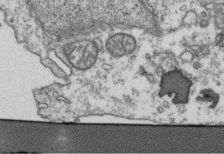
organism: Human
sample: Activated Jurkat CD4+ T cells